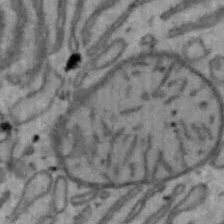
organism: Mouse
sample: Liver